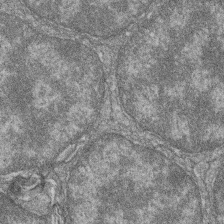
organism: Zebrafish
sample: Cilia; retinal pigment epithelium